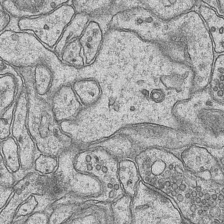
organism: Mouse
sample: CA1 Hippocampus